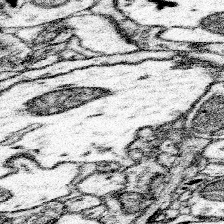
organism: Mouse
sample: Somatosensory cortex neuropil